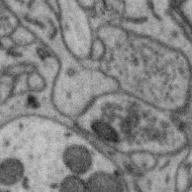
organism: Zebra finch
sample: Brain